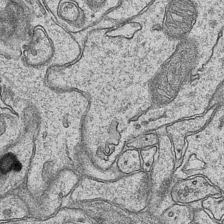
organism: Mouse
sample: CA1 Hippocampus